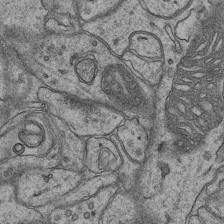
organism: Mouse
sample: CA1 Hippocampus